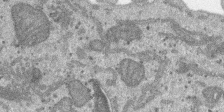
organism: Human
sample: Lung epithelial cells infected with SARS-CoV-2